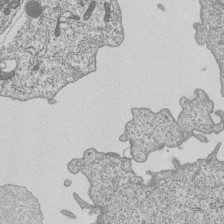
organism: Human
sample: MDA-MB-231 cells